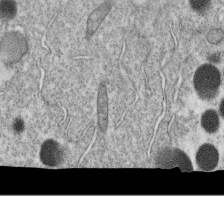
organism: C. elegans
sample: C. elegans oocyte; sperm cells